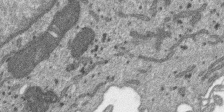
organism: Human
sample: Lung epithelial cells infected with SARS-CoV-2